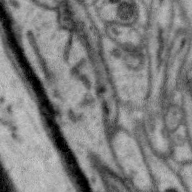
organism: Zebra finch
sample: Brain